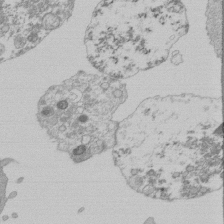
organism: Mouse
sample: Activated Pmel transgenic CD8+ T Cells